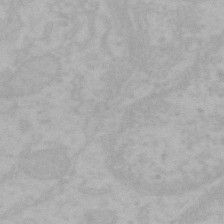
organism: Mouse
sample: Choroid plexus